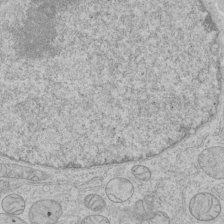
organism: Human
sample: Mitochondria in HCT116 cells